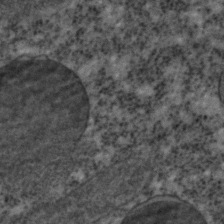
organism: C. elegans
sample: C. elegans embryo